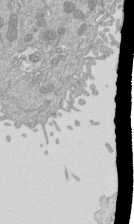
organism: Mouse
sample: ED-1 cell nuclei; centrioles